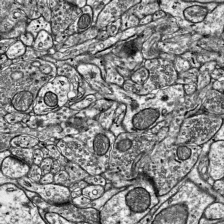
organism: Mouse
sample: Visual Cortex